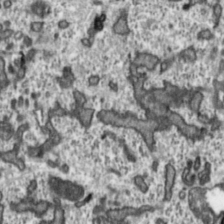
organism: Toxoplasma gondii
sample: Parasites in a vacuole inside a host cell